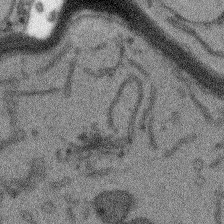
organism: Arabidopsis thaliana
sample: Root tip